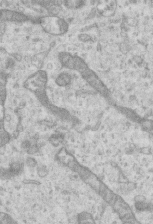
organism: Mouse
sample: Centriole in ependymal cells